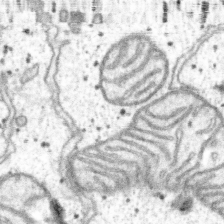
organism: Human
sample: HeLa cells